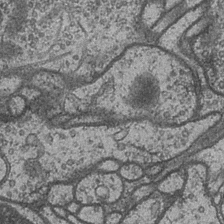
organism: Drosophila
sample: Optic medulla